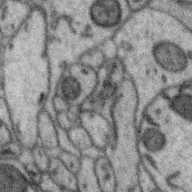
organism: Zebra finch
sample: Brain